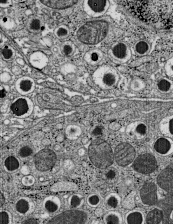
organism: C57BL Mouse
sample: Pancreatic islet